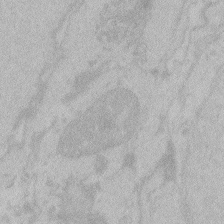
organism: Zebrafish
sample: Macrophage infected with Toxoplasma gondii